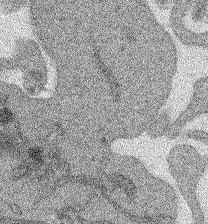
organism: Human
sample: HeLa cells